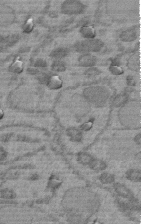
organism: C. elegans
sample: C. elegans embryo early stage